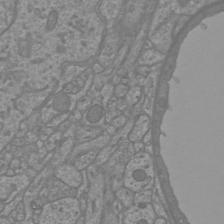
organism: Mouse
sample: Cortical neurons